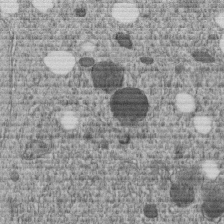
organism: C. elegans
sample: C. elegans embryo early stage